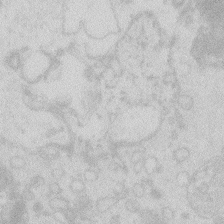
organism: Zebrafish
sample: Macrophage